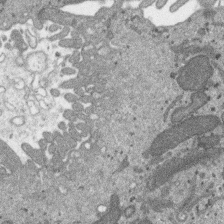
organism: Human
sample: Lung epithelial cells infected with SARS-CoV-2